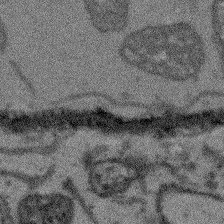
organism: Arabidopsis thaliana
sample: Root tip